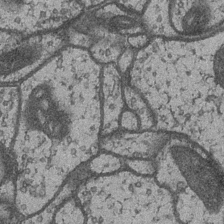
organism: Drosophila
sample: Optic medulla